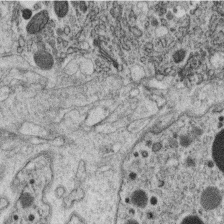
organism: C. elegans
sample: C. elegans oocyte; sperm cells